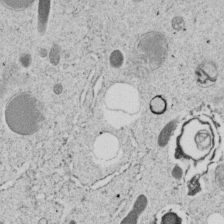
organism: C. elegans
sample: C. elegans embryo early stage